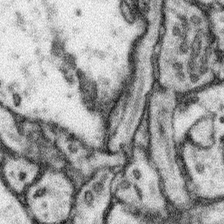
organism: Mouse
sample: Somatosensory cortex neuropil